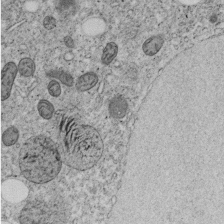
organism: C. elegans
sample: C. elegans embryo early stage